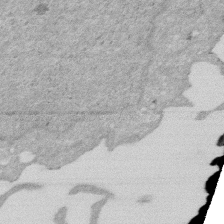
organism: Human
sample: HIV infected U937 cells